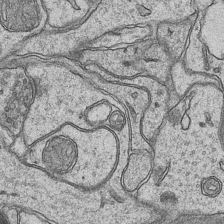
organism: Mouse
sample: CA1 Hippocampus